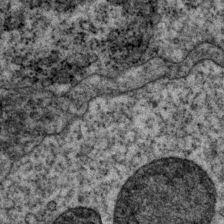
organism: P. pacificus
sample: Pharynx